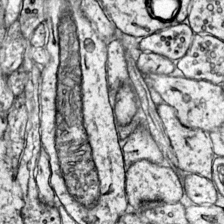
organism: Mouse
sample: Primary visual cortex